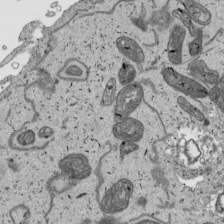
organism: Human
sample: Mitochondria in HCT116 cells